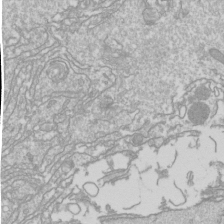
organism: Drosophila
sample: Cell division; meiosis; drosophila spermatocytes